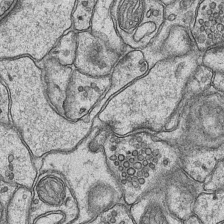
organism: Mouse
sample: CA1 Hippocampus